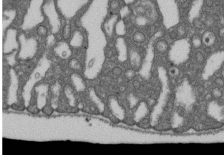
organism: Drosophila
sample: Nephrocyte